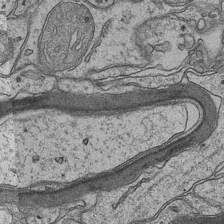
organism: Mouse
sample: CA1 Hippocampus